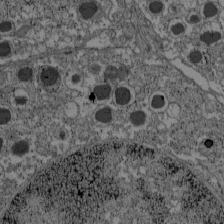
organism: C57BL Mouse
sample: Pancreatic islet